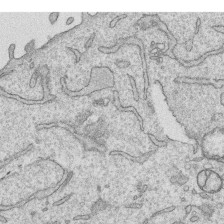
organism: Human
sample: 1205lu cells